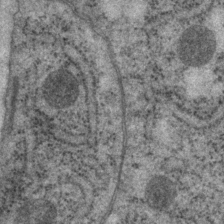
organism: P. pacificus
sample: Pharynx